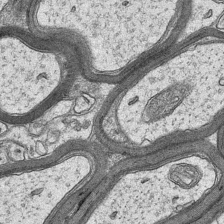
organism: Mouse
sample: CA1 Hippocampus